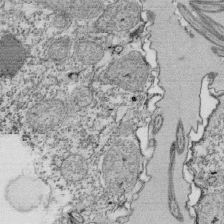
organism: Tetrahymena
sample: Cilia in tetrahymena